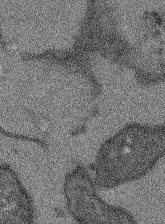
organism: Arabidopsis thaliana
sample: Root tip